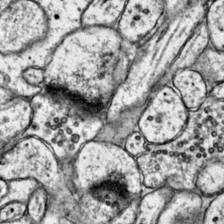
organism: Mouse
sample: Primary visual cortex